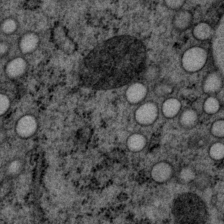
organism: P. pacificus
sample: Pharynx